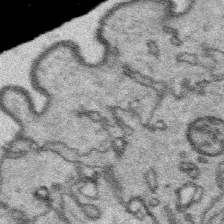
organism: Platynereis dumerilii